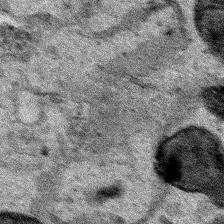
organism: Human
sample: Mitochondria in HCT116 cells